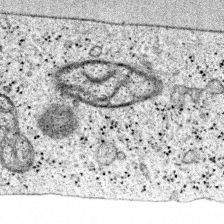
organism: Human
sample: HeLa cells